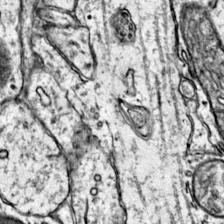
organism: Mouse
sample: Primary visual cortex